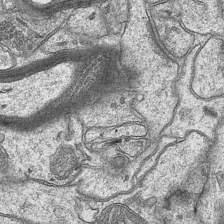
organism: Mouse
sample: CA1 Hippocampus